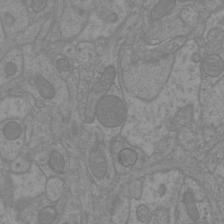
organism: Mouse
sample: Cortical neurons